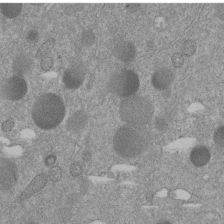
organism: C. elegans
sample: C. elegans embryo early stage